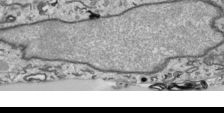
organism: Human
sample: Mitochondria in HCT116 cells